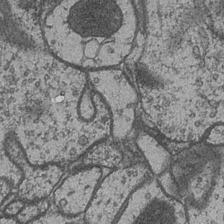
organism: Drosophila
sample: Optic medulla